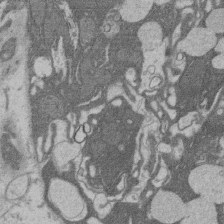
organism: Rat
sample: Salivary granule